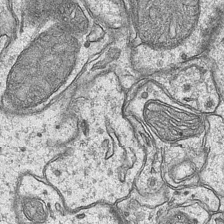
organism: Mouse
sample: CA1 Hippocampus